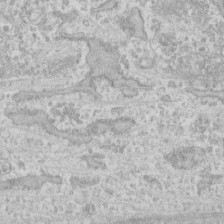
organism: Human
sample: Fibroblast cells